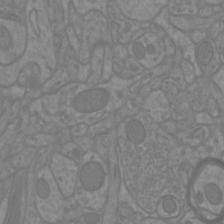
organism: Mouse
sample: Cortical neurons